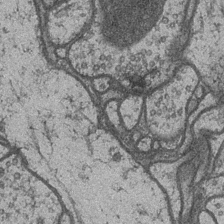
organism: Drosophila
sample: Optic medulla